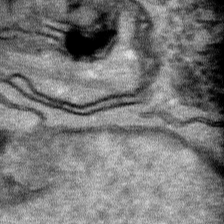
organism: Human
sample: Mitochondria in HCT116 cells